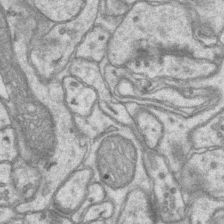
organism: Mouse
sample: CA1 Hippocampus